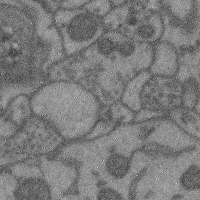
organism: Mouse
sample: Cerebral cortex